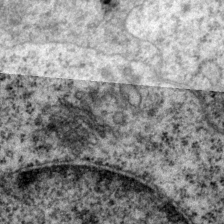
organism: P. pacificus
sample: Pharynx